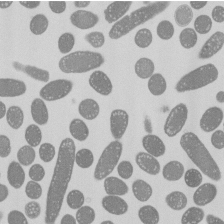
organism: E. coli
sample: Bacterial nucleoid